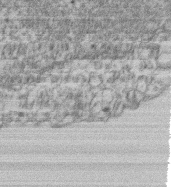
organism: Mouse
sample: T cell stromal cell synapse